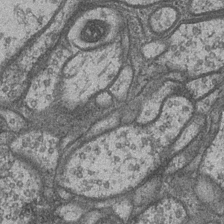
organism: Drosophila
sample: Optic medulla